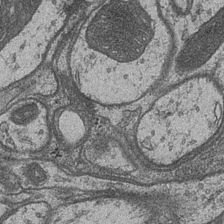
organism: Drosophila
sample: Optic medulla